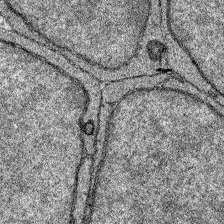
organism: Zebrafish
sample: Larval olfactory bulb